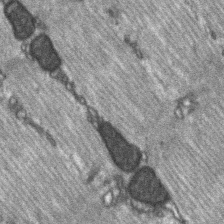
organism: C57BL Mouse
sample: Soleus